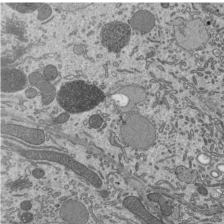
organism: Mouse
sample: Mouse epididymis efferent ductule cilia